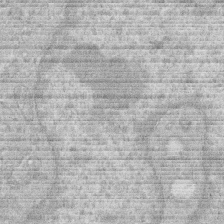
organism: Human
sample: Macrophage cells